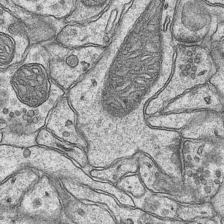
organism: Mouse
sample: CA1 Hippocampus